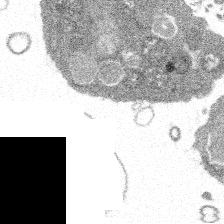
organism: Spongilla lacustris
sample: Multiple